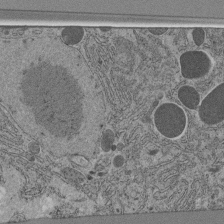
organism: C. elegans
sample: C. elegans pharynx